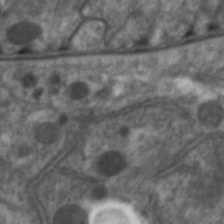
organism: C. elegans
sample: Pharynx